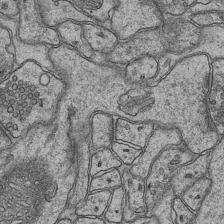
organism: Mouse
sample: CA1 Hippocampus